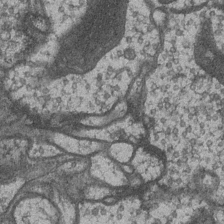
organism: Drosophila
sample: Optic medulla